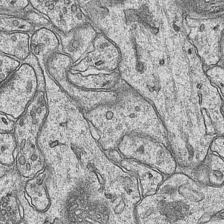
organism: Mouse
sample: CA1 Hippocampus